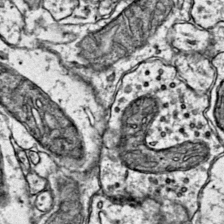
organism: Mouse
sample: Primary visual cortex